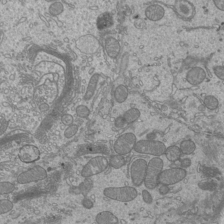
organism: Mouse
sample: Cilia; mouse epididymis